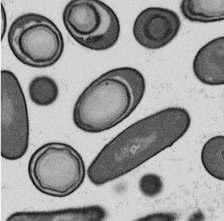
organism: B. subtilis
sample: Bacterial spore